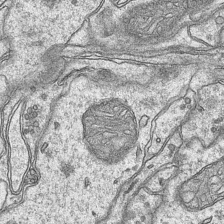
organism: Mouse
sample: CA1 Hippocampus